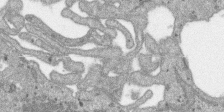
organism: Human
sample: Lung epithelial cells infected with SARS-CoV-2